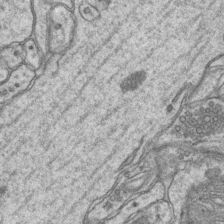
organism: Mouse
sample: CA1 Hippocampus